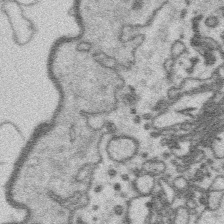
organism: Platynereis dumerilii